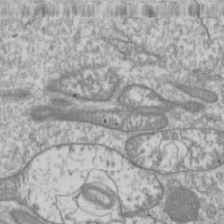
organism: Drosophila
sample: Cell division; meiosis; drosophila spermatocytes